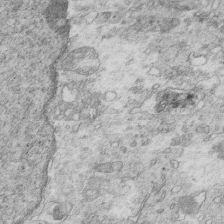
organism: Mouse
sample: Multiciliated cells